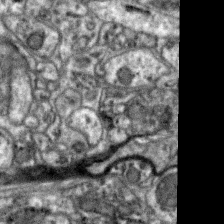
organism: Zebra finch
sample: Brain